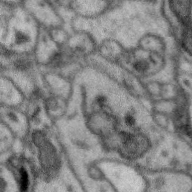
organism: Zebra finch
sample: Brain